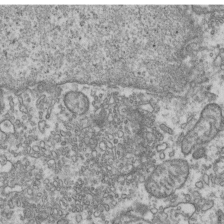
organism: Human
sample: Activated Jurkat CD4+ T cells